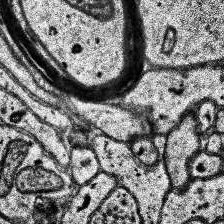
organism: Human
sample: Temporal Lobe